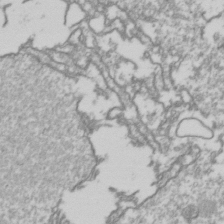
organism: Drosophila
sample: Cell division; meiosis; drosophila spermatocytes